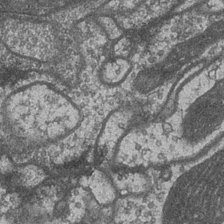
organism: Drosophila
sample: Optic medulla